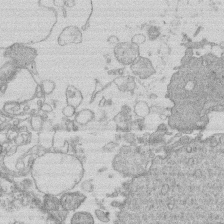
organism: Human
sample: Macrophage cells